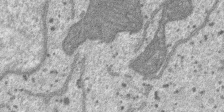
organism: Human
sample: Lung epithelial cells infected with SARS-CoV-2